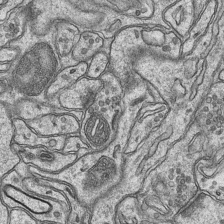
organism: Mouse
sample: CA1 Hippocampus